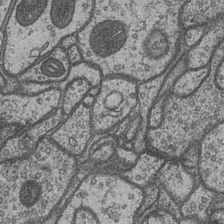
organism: Drosophila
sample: Optic medulla